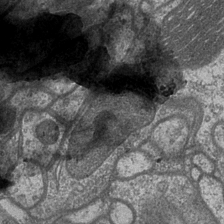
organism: Drosophila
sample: Optic medulla